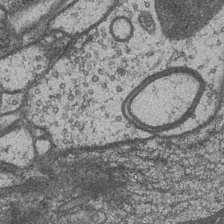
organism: Drosophila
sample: Optic medulla